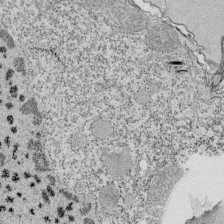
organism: Tetrahymena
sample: Cilia in tetrahymena